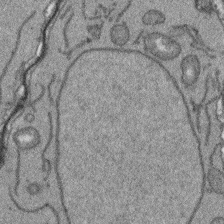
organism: Arabidopsis thaliana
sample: Root tip